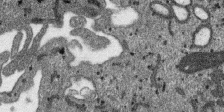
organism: Human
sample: Lung epithelial cells infected with SARS-CoV-2